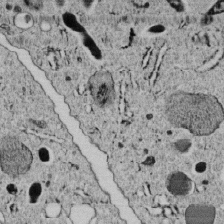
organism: C. elegans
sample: C. elegans embryo early stage